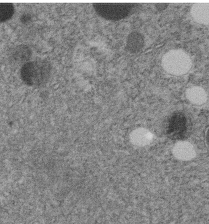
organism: C. elegans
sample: C. elegans embryo early stage